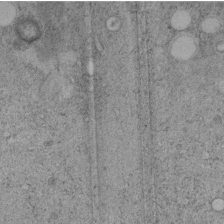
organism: C. elegans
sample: C. elegans embryo early stage